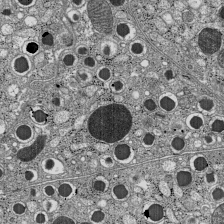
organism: C57BL Mouse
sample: Pancreatic islet